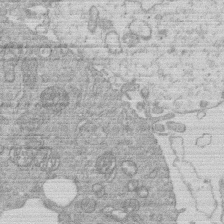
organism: Human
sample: Macrophage cells